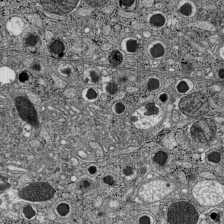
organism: C57BL Mouse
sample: Pancreatic islet